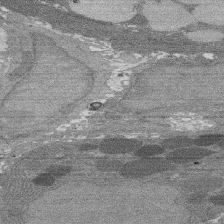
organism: Rat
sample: Salivary granule